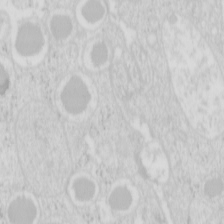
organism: Mouse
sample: Pancreas